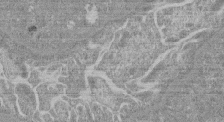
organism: Mouse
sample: Glomerulus